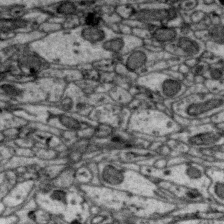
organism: Zebra finch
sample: Brain